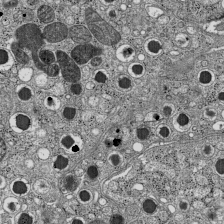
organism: C57BL Mouse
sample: Pancreatic islet